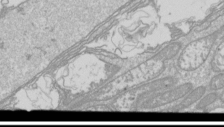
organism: Drosophila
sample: Cell division; meiosis; drosophila spermatocytes